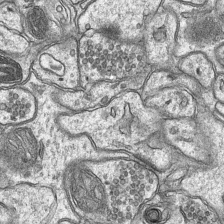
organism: Mouse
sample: CA1 Hippocampus